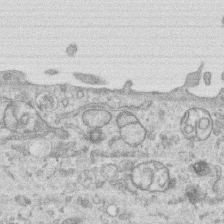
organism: Human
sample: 1205lu cells